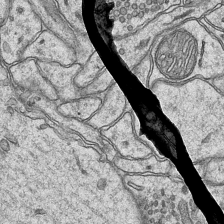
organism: Mouse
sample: CA1 Hippocampus